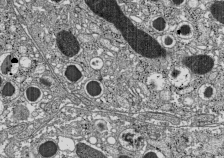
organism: C57BL Mouse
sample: Pancreatic islet